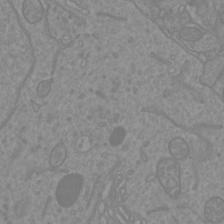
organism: Mouse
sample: Cortical neurons